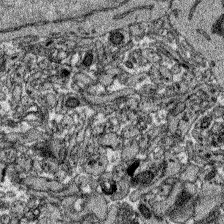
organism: Zebrafish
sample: Larval olfactory bulb